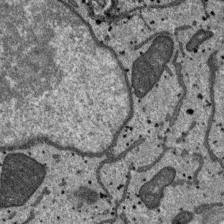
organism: Human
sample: Lung epithelial cells, uninfected (mock) control